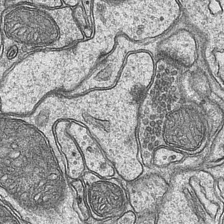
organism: Mouse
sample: CA1 Hippocampus